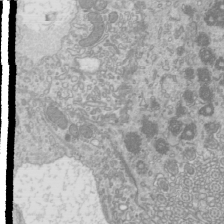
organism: Mouse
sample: Cilia; mouse epididymis